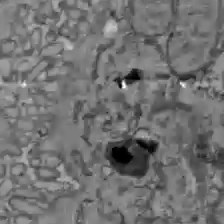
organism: C57BL Mouse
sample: Liver